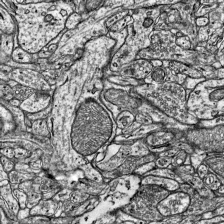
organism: Mouse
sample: Visual Cortex